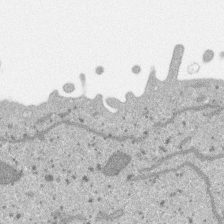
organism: Human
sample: Lung epithelial cells infected with SARS-CoV-2